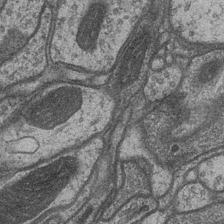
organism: Drosophila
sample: Optic medulla